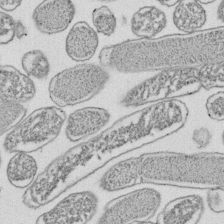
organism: E. coli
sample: Bacterial nucleoid